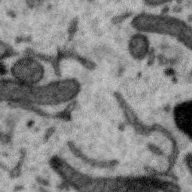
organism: Zebra finch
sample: Brain